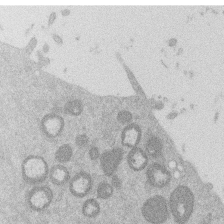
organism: Mouse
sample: Dividing mouse embryo 1 cell stage